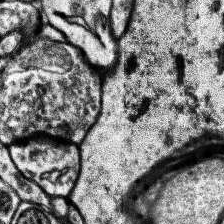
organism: Human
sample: Temporal Lobe